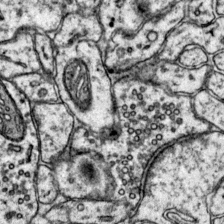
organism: Mouse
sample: Primary visual cortex